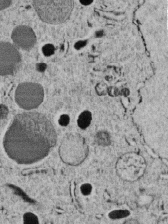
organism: C. elegans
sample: C. elegans embryo early stage